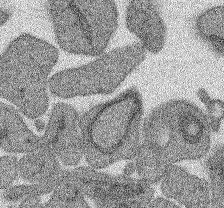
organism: Human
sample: HeLa cells